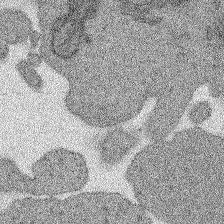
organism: Human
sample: HeLa cells